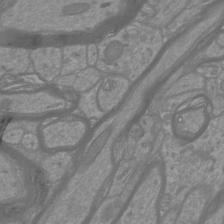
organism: Mouse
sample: Cortical neurons